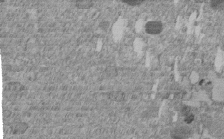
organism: C. elegans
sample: C. elegans embryo early stage